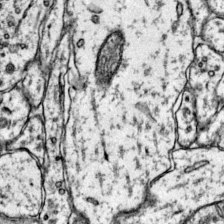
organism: Mouse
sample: Primary visual cortex